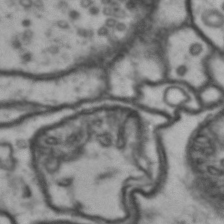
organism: Drosophila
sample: Brain